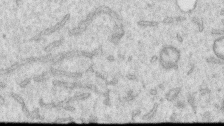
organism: Human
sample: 1205lu cells